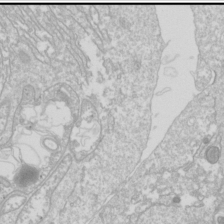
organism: Drosophila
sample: Cell division; meiosis; drosophila spermatocytes